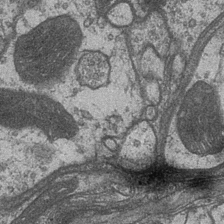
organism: Drosophila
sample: Optic medulla